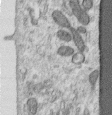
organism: Human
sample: Centriole in RPE cells